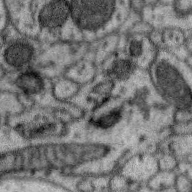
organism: Zebra finch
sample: Brain